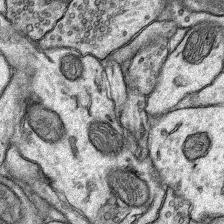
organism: Rat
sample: Hippocampus